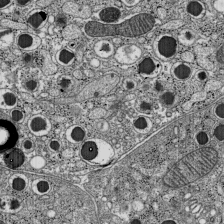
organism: C57BL Mouse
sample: Pancreatic islet